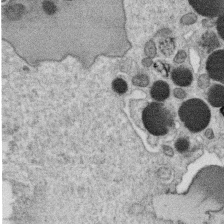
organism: C. elegans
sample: C. elegans oocyte; sperm cells